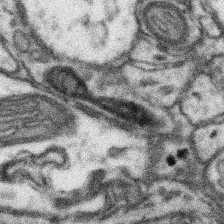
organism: Mouse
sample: Somatosensory cortex neuropil